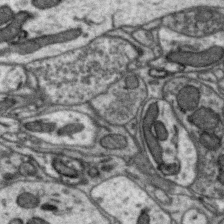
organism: Zebra finch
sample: Brain